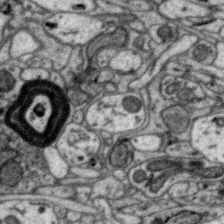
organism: Zebra finch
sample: Brain